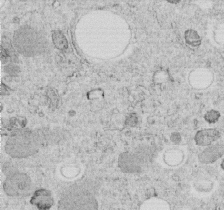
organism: C. elegans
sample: C. elegans embryo early stage